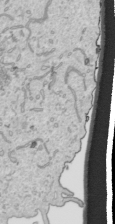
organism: Human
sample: Mitochondria in HCT116 cells